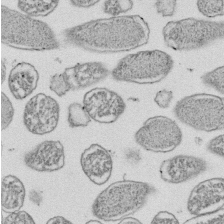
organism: E. coli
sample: Bacterial nucleoid